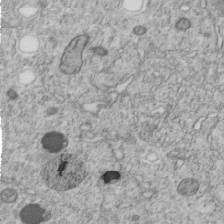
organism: C. elegans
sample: C. elegans embryo early stage